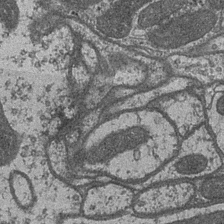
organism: Drosophila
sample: Optic medulla